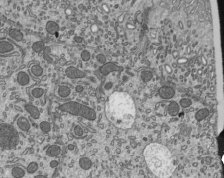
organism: Mouse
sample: Mouse epididymis efferent ductule cilia